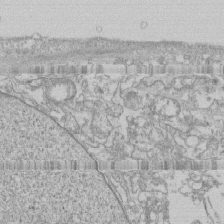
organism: Human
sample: CRL-1474